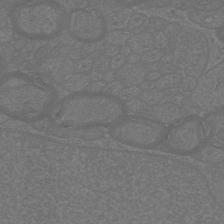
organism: Mouse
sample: Cortical neurons